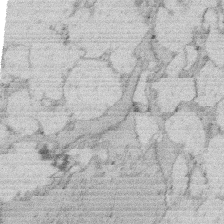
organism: Rat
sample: Salivary granule